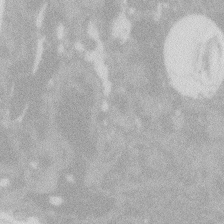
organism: Zebrafish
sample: Macrophage